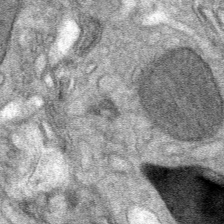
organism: Mouse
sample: Mouse Salivary gland